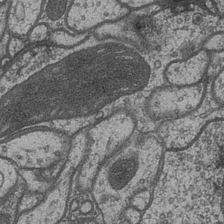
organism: Drosophila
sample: Optic medulla